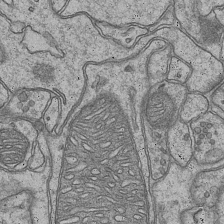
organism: Mouse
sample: CA1 Hippocampus